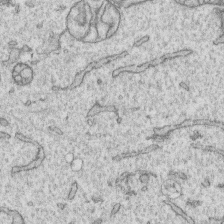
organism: Human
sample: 1205lu cells